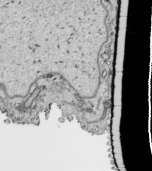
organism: Human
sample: Mitochondria in HCT116 cells